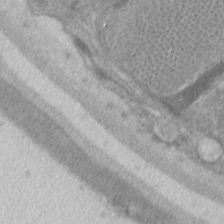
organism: C. elegans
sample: Pharynx